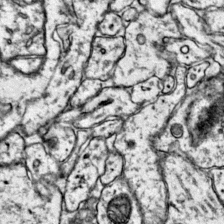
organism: Mouse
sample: Primary visual cortex